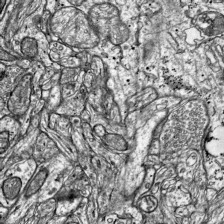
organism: Mouse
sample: Visual Cortex